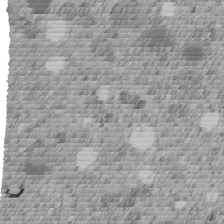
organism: C. elegans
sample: C. elegans embryo early stage